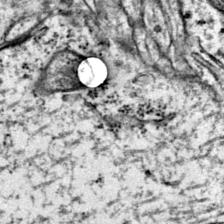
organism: Mouse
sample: Primary visual cortex